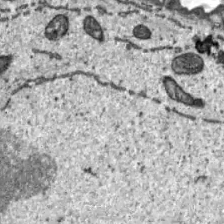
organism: Human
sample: HeLa cells